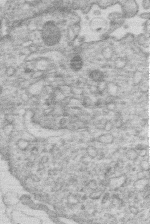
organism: Human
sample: Macrophage cells